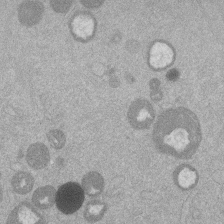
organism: Mouse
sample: Dividing mouse embryo 1 cell stage